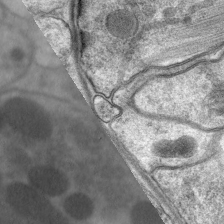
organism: C. elegans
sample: Pharynx